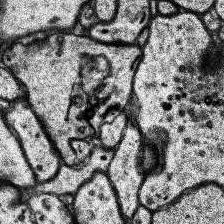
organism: Human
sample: Temporal Lobe